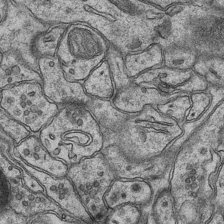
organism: Mouse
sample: CA1 Hippocampus